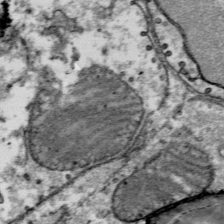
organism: Mouse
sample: Mouse Salivary gland